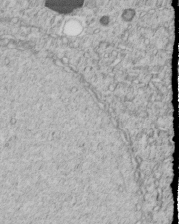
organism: C. elegans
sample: C. elegans embryo early stage